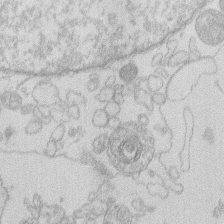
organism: Human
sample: Macrophage cells